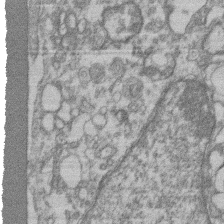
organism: Mouse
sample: T cell stromal cell synapse